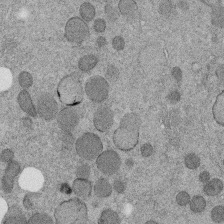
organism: C. elegans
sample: C. elegans embryo early stage